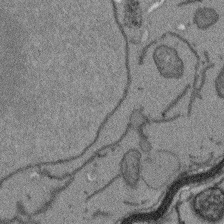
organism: Arabidopsis thaliana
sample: Root tip